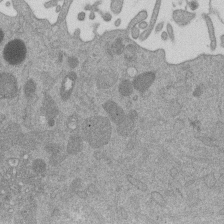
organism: Mouse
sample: Dividing mouse embryo 1 cell stage